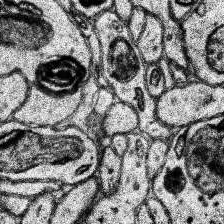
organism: Human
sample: Temporal Lobe